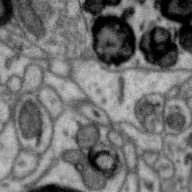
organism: Zebra finch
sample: Brain